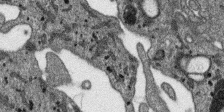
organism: Human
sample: Lung epithelial cells infected with SARS-CoV-2